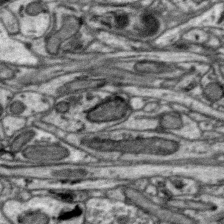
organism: Zebra finch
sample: Brain